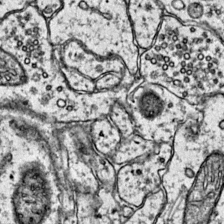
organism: Mouse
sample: Primary visual cortex